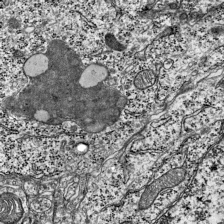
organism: Mouse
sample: Visual Cortex